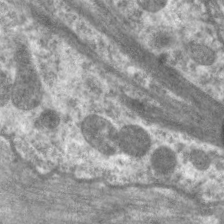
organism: C. elegans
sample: Pharynx